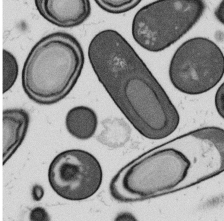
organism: B. subtilis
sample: Bacterial spore